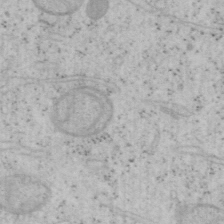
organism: Human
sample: HeLa cells